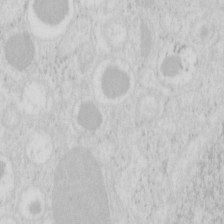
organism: Mouse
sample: Pancreas